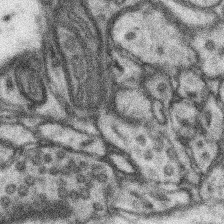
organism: Mouse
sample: Somatosensory cortex neuropil